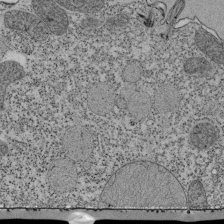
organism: Tetrahymena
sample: Cilia in tetrahymena